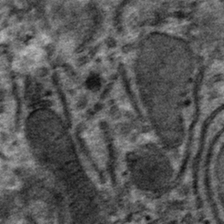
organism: Mouse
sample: Mouse hepatocytes